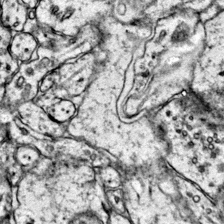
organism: Mouse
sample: Primary visual cortex